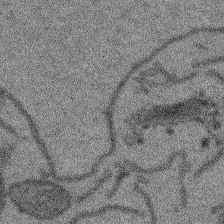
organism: Arabidopsis thaliana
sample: Root tip